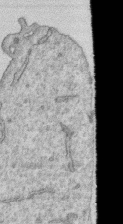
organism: Human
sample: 1205lu cells